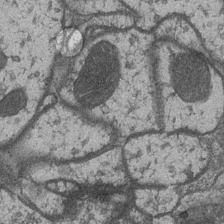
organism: Drosophila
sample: Optic medulla